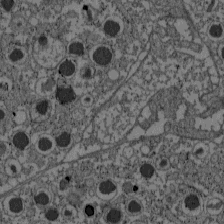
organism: C57BL Mouse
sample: Pancreatic islet